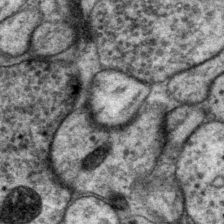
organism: P. pacificus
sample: Pharynx